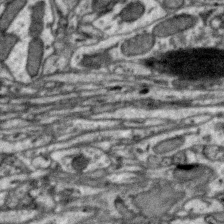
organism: Zebra finch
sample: Brain